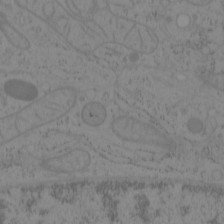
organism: Human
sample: HeLa cells